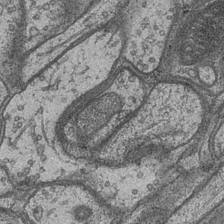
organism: Drosophila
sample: Optic medulla